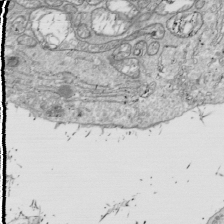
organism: Drosophila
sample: Cell division; meiosis; drosophila spermatocytes